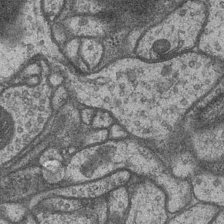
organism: Drosophila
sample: Optic medulla